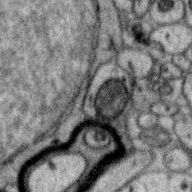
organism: Zebra finch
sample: Brain